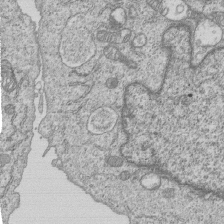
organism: Human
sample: MDA-MB-231 cells